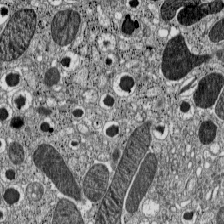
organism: C57BL Mouse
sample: Pancreatic islet